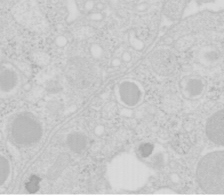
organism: Mouse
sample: Pancreas